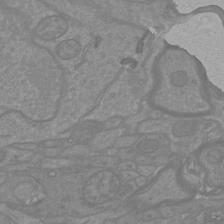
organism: Mouse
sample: Cortical neurons